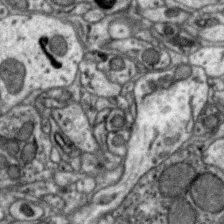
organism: Zebra finch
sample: Brain